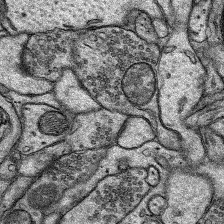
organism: Rat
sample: Hippocampus